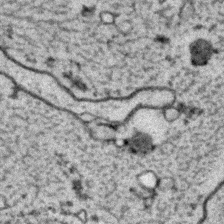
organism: C. elegans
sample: C. elegans embryo